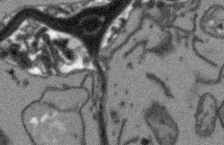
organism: Arabidopsis thaliana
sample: Root tip